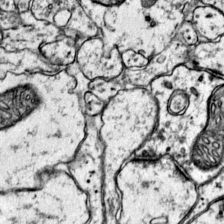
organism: Mouse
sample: Primary visual cortex